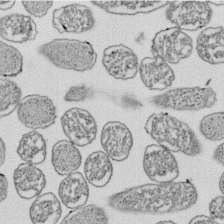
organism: E. coli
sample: Bacterial nucleoid